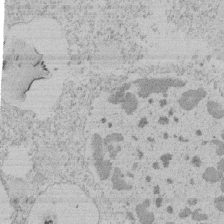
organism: Tetrahymena